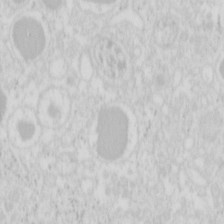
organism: Mouse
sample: Pancreas